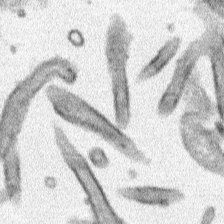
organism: Human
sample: Mitochondria in HCT116 cells